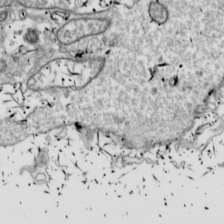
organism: Drosophila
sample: Cell division; meiosis; drosophila spermatocytes